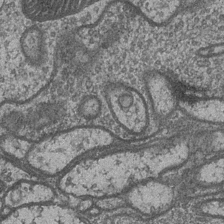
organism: Drosophila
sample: Optic medulla